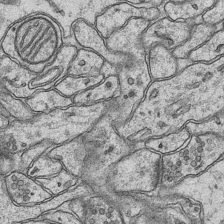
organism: Mouse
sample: CA1 Hippocampus